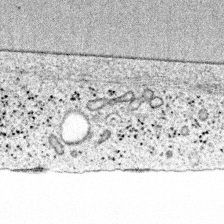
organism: Human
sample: HeLa cells